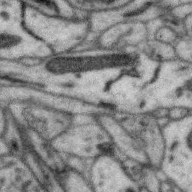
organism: Zebra finch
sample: Brain